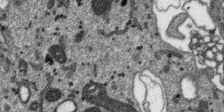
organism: Human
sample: Lung epithelial cells infected with SARS-CoV-2